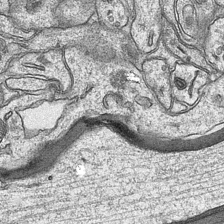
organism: Mouse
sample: CA1 Hippocampus